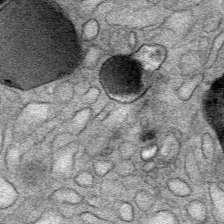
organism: Mouse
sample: Mouse Salivary gland